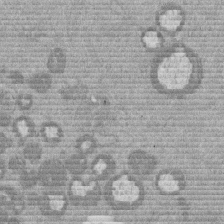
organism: Mouse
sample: Dividing mouse embryo 1 cell stage